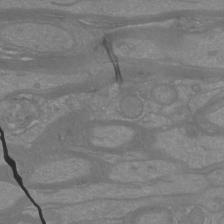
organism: Mouse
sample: Cortical neurons